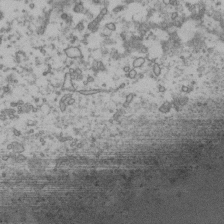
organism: Human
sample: Activated Jurkat CD4+ T cells